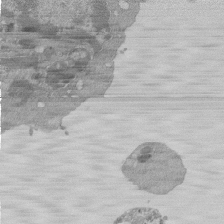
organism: Mouse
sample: Activated Pmel transgenic CD8+ T Cells